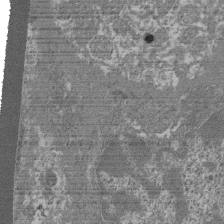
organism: Mouse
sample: Glomerulus